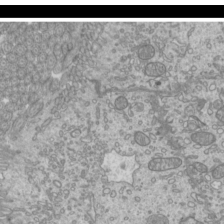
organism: Mouse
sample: Cilia; mouse epididymis